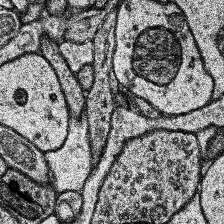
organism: Human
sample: Temporal Lobe